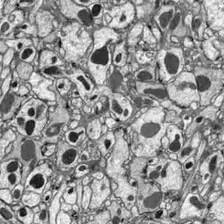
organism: Drosophila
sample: Optic lobe